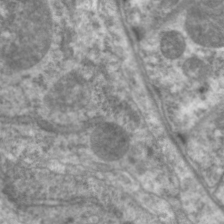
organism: C. elegans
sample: Pharynx